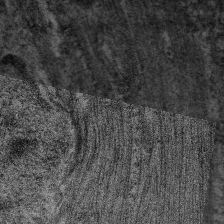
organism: C. elegans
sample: Pharynx